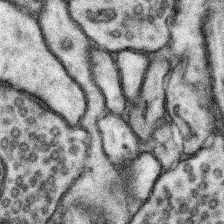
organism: Mouse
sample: Somatosensory cortex neuropil